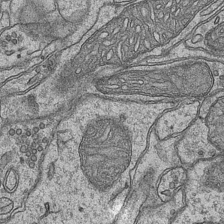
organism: Mouse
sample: CA1 Hippocampus